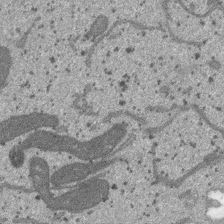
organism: Human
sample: Lung epithelial cells infected with SARS-CoV-2